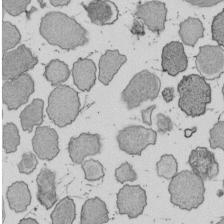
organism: E. coli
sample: Bacterial nucleoid